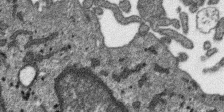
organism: Human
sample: Lung epithelial cells infected with SARS-CoV-2